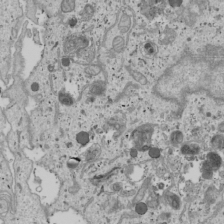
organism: Human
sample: Mitochondria in U2OS cells